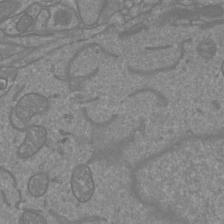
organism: Mouse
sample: Cortical neurons